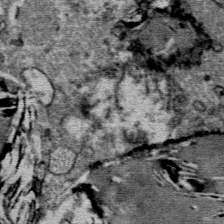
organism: Mouse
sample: Mouse Salivary gland